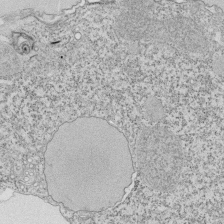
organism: Tetrahymena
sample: Cilia in tetrahymena